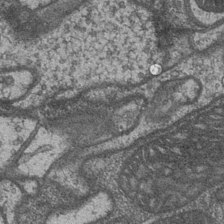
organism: Drosophila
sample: Optic medulla